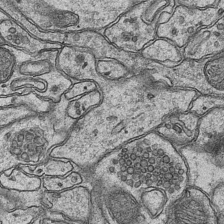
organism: Mouse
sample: CA1 Hippocampus